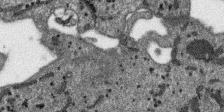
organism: Human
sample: Lung epithelial cells infected with SARS-CoV-2